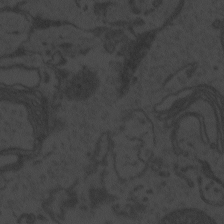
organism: Zebrafish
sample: Macrophage infected with Toxoplasma gondii